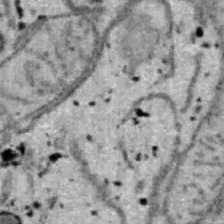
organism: Mouse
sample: Liver from an obese (ob/ob) mouse